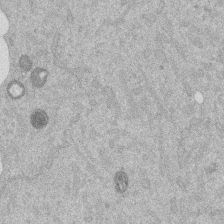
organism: Mouse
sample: Dividing mouse embryo 1 cell stage